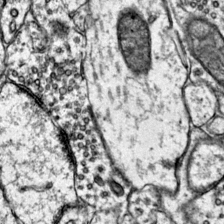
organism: Mouse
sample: Primary visual cortex